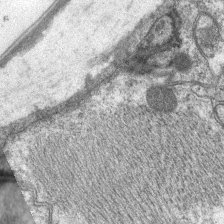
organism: C. elegans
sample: Pharynx